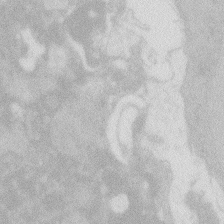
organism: Zebrafish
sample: Macrophage